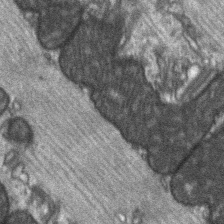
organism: C57BL Mouse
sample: Soleus